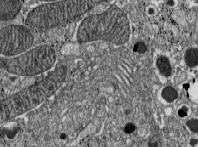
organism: C57BL Mouse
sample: Pancreatic islet